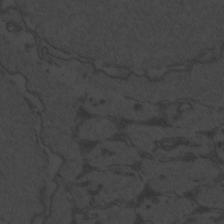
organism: Zebrafish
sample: Macrophage infected with Toxoplasma gondii